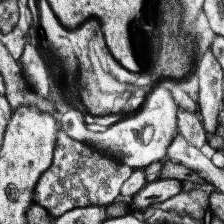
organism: Human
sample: Temporal Lobe